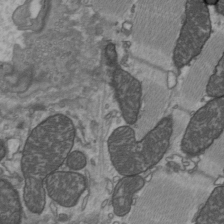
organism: C57BL Mouse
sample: Heart